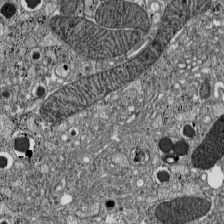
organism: C57BL Mouse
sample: Pancreatic islet